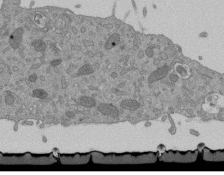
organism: Mouse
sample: ED-1 cell nuclei; centrioles